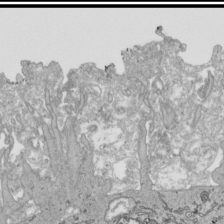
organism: Human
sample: Mitochondria in HCT116 cells